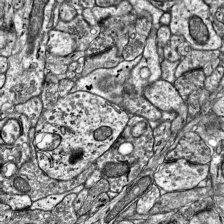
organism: Mouse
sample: Visual Cortex